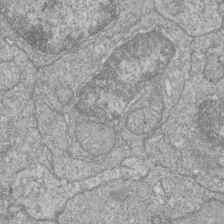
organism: Zebrafish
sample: Cilia; retinal pigment epithelium